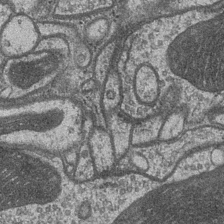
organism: Drosophila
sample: Optic medulla